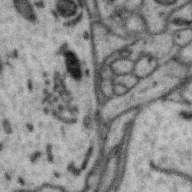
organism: Zebra finch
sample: Brain